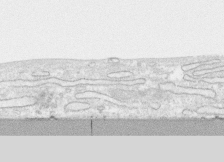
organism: Human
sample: CRL-1474